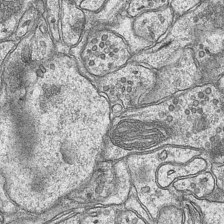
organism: Mouse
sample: CA1 Hippocampus